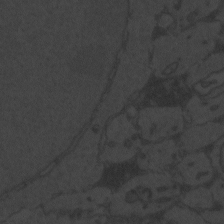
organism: Zebrafish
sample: Macrophage infected with Toxoplasma gondii